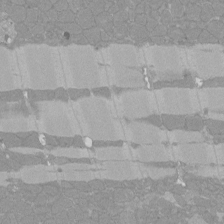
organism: Rat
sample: Left ventricle